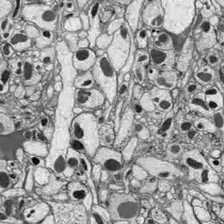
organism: Drosophila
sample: Optic lobe